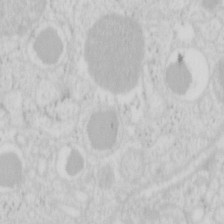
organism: Mouse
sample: Pancreas